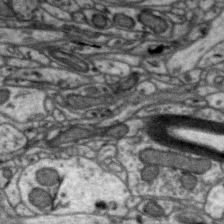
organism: Zebra finch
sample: Brain